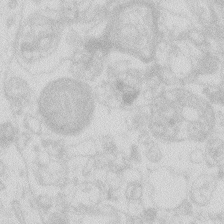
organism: Zebrafish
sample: Macrophage